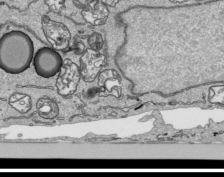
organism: Human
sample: Mitochondria in HCT116 cells